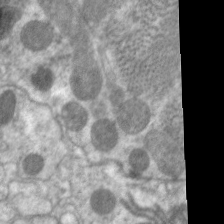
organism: C. elegans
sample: Pharynx